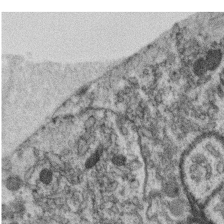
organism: C. elegans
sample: C. elegans oocyte; sperm cells